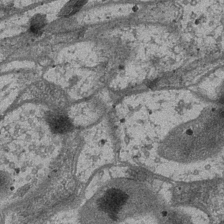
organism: Drosophila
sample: Optic medulla